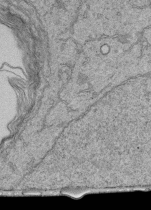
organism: Human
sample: Retinal organoid Rod and Cone cells